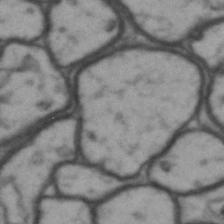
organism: Drosophila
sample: Brain